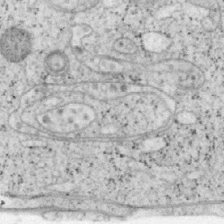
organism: Mouse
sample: OT-I killer T cells with ID8 ovarian cancer cells